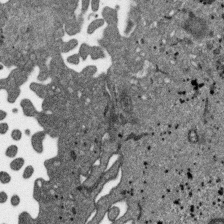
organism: Human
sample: Lung epithelial cells, uninfected (mock) control